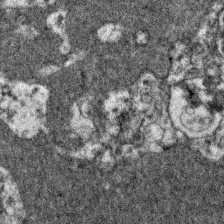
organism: Zebrafish